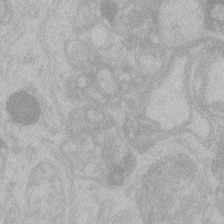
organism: Zebrafish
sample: Macrophage infected with Toxoplasma gondii